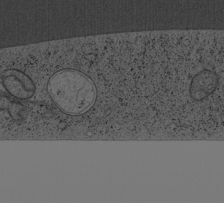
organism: African green monkey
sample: COS-7 cells